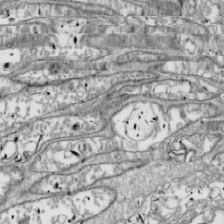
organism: Drosophila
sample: Cell division; meiosis; drosophila spermatocytes